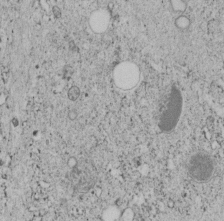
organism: C. elegans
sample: C. elegans embryo early stage